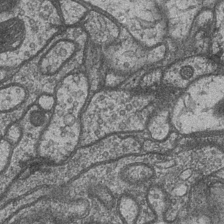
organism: Drosophila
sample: Optic medulla